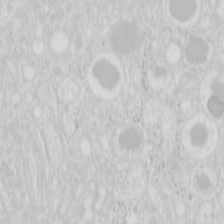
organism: Mouse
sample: Pancreas